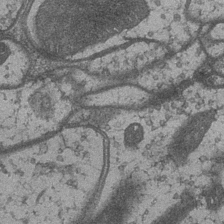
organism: Drosophila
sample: Optic medulla